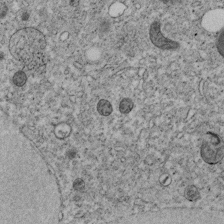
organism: C. elegans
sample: C. elegans embryo early stage